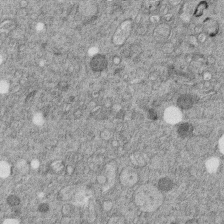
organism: C. elegans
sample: C. elegans embryo early stage